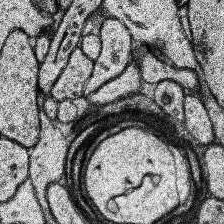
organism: Human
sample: Temporal Lobe